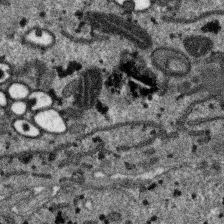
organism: Human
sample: Lung epithelial cells infected with SARS-CoV-2